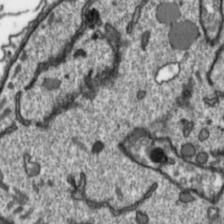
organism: Toxoplasma gondii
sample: Parasites in a vacuole inside a host cell